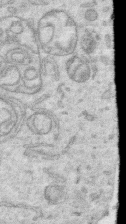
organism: Human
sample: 1205lu cells